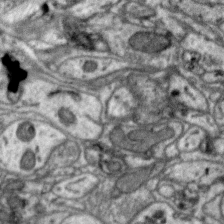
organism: Zebra finch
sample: Brain